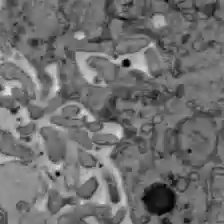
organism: C57BL Mouse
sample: Liver